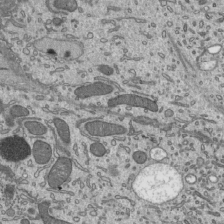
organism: Mouse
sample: Mouse epididymis efferent ductule cilia